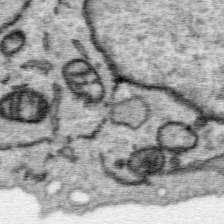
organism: Human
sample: HeLa cells